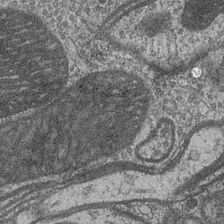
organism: Drosophila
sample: Optic medulla